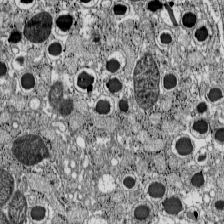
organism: C57BL Mouse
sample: Pancreatic islet